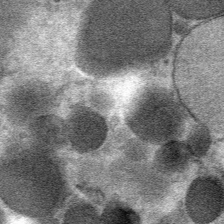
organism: Mouse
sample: Mouse Salivary gland